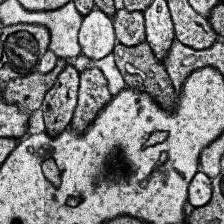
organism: Human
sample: Temporal Lobe